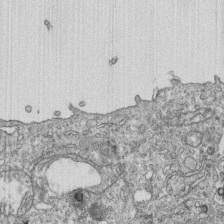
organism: Human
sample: HeLa cell HIV synapse